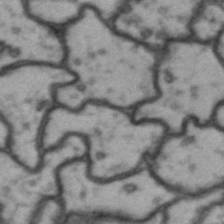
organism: Drosophila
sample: Brain